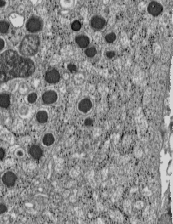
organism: C57BL Mouse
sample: Pancreatic islet